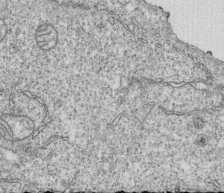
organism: Human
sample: HeLa cell HIV synapse